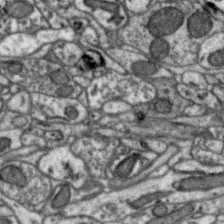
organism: Zebra finch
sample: Brain